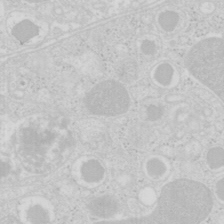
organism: Mouse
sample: Pancreas